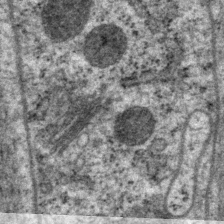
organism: P. pacificus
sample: Pharynx